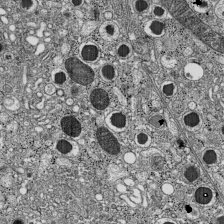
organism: C57BL Mouse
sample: Pancreatic islet